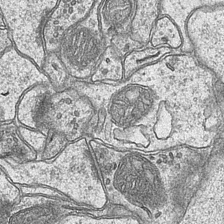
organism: Mouse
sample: CA1 Hippocampus